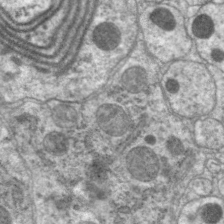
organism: C. elegans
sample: Pharynx